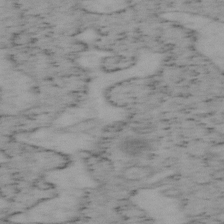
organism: Mouse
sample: OT-I killer T cells with ID8 ovarian cancer cells